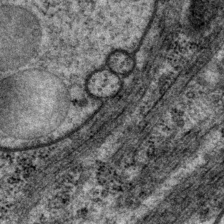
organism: P. pacificus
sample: Pharynx